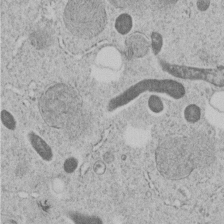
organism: C. elegans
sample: C. elegans embryo early stage